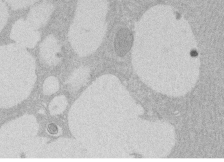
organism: Rat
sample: Salivary granule